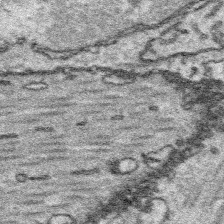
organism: Platynereis dumerilii